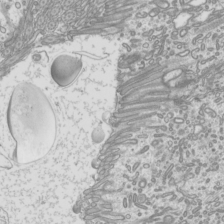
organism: Mouse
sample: Cilia; mouse epididymis